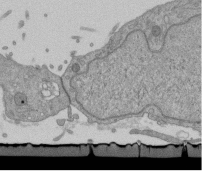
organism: Mouse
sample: ED-1 cell nuclei; centrioles